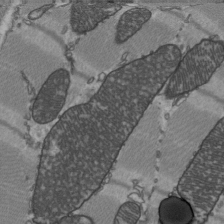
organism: C57BL Mouse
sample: Heart